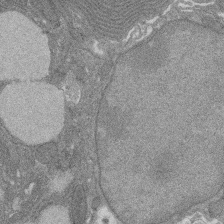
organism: Rat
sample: Salivary granule